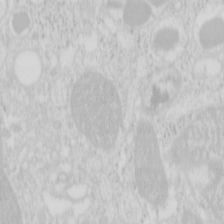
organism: Mouse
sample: Pancreas